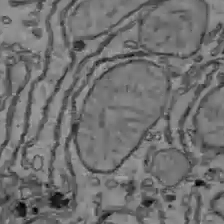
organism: C57BL Mouse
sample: Liver